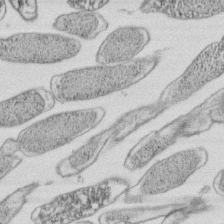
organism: E. coli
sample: Bacterial nucleoid